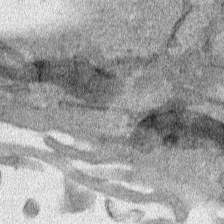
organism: Human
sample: Mitochondria in HCT116 cells